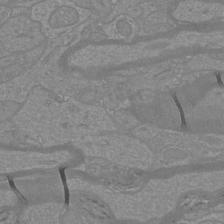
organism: Mouse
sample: Cortical neurons